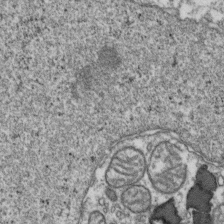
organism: Human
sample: Activated Jurkat CD4+ T cells